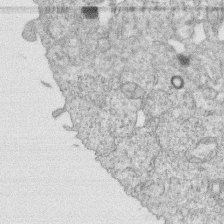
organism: Human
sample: HeLa cell HIV synapse